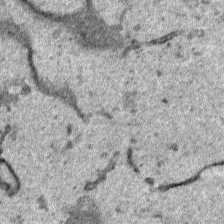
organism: Human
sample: Mitochondria in HCT116 cells